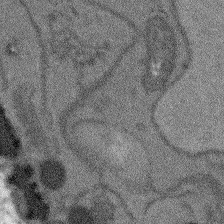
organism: Arabidopsis thaliana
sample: Root tip